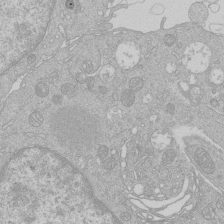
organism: Human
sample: Macrophage cells